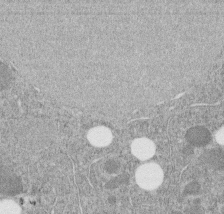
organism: C. elegans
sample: C. elegans embryo early stage